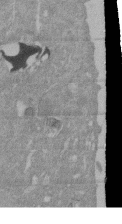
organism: Mouse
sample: ED-1 cell nuclei; centrioles